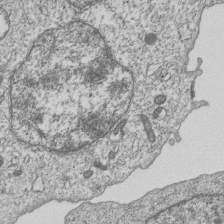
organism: Human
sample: MDA-MB-231 cells